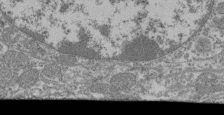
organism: Mouse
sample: Glomerulus